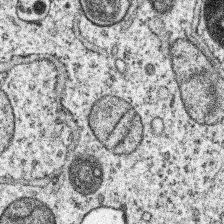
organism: Human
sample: HeLa cells